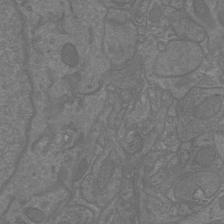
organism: Mouse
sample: Cortical neurons